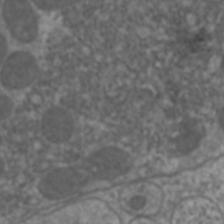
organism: C. elegans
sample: Pharynx